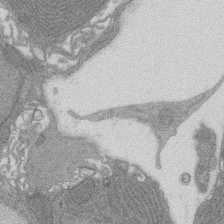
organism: Rat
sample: Salivary granule